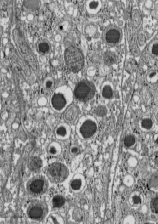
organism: C57BL Mouse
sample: Pancreatic islet